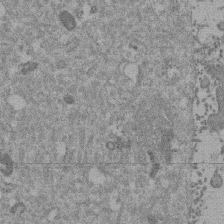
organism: Mouse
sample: Dividing mouse embryo 1 cell stage